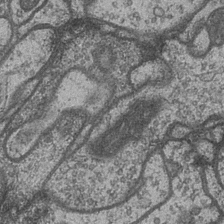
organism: Drosophila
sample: Optic medulla